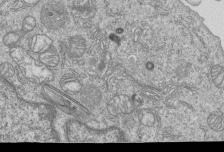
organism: Human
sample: MDA-MB-231 cells